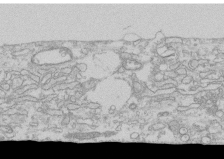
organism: Human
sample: CRL-1474